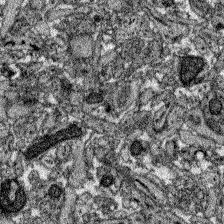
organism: Zebrafish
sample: Larval olfactory bulb